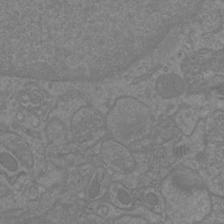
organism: Mouse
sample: Cortical neurons